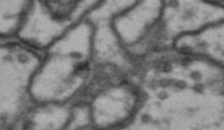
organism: Drosophila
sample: Brain